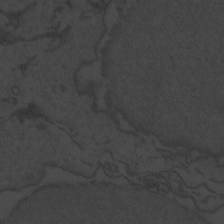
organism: Zebrafish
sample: Macrophage infected with Toxoplasma gondii